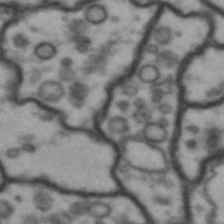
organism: Drosophila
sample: Brain